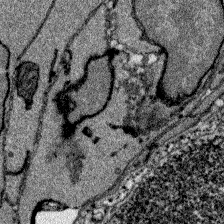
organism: Zebrafish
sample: Larval olfactory bulb